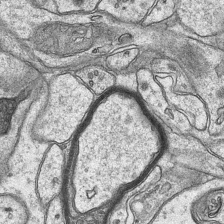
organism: Mouse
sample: CA1 Hippocampus